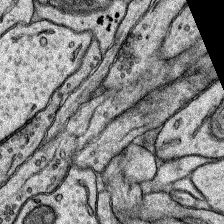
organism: Rat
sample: Hippocampus